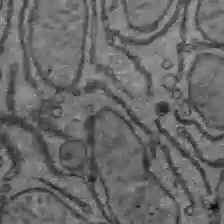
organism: C57BL Mouse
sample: Liver